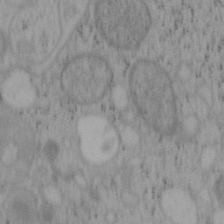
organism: Mouse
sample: OT-I killer T cells with ID8 ovarian cancer cells